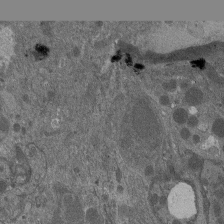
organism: Drosophila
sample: Antenna